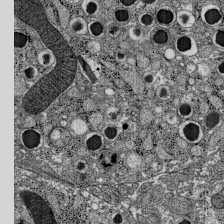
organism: C57BL Mouse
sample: Pancreatic islet